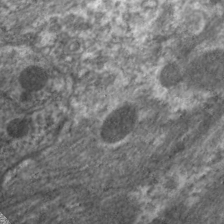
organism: C. elegans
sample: Pharynx